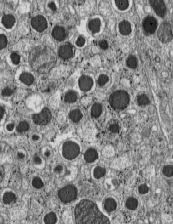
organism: C57BL Mouse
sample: Pancreatic islet